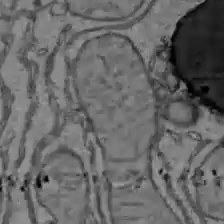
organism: C57BL Mouse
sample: Liver